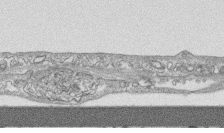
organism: Human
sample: CRL-1474